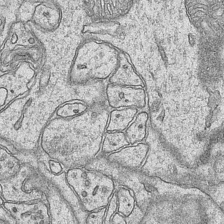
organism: Mouse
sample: CA1 Hippocampus